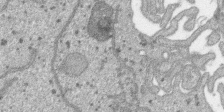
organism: Human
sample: Lung epithelial cells infected with SARS-CoV-2